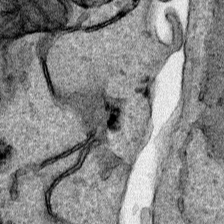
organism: Human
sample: Mitochondria in HCT116 cells